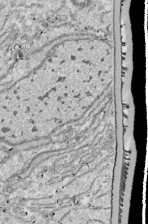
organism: Drosophila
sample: Cell division; meiosis; drosophila spermatocytes